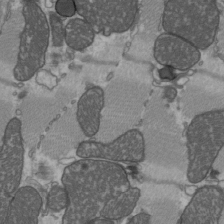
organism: C57BL Mouse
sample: Heart